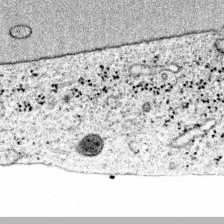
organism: Human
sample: HeLa cells